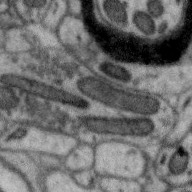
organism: Zebra finch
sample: Brain